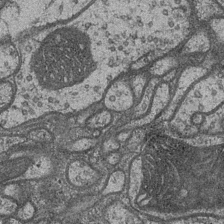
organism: Drosophila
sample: Optic medulla